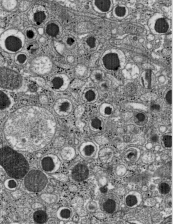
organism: C57BL Mouse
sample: Pancreatic islet